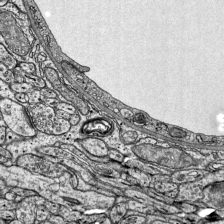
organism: Mouse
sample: Visual Cortex